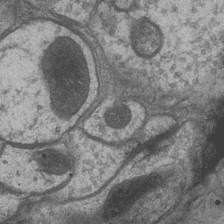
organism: Drosophila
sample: Optic medulla